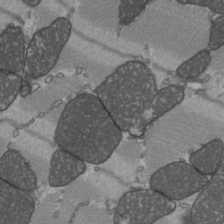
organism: C57BL Mouse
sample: Heart